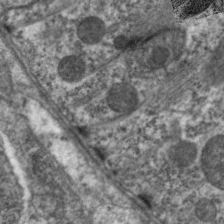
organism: C. elegans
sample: Pharynx